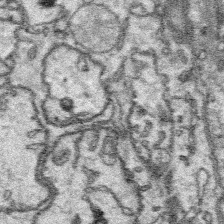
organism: Platynereis dumerilii